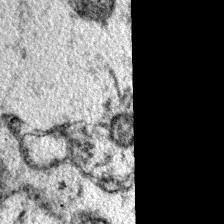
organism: Mouse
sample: Primary visual cortex